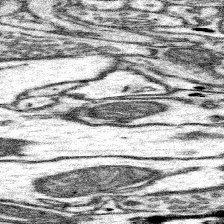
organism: Mouse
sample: Somatosensory cortex neuropil